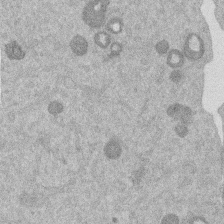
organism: Mouse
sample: Dividing mouse embryo 1 cell stage